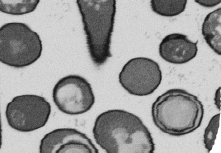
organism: B. subtilis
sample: Bacterial spore